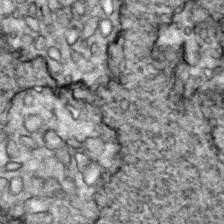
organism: Zebrafish